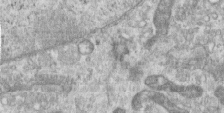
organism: Human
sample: Centriole in RPE cells